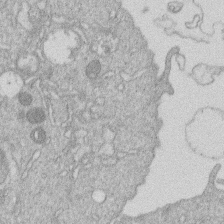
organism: Human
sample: Macrophage cells